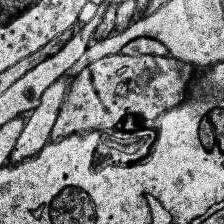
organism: Human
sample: Temporal Lobe